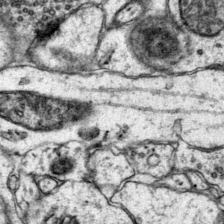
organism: Mouse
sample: Primary visual cortex